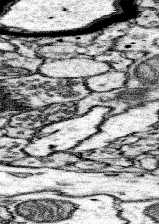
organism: Mouse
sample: Somatosensory cortex neuropil